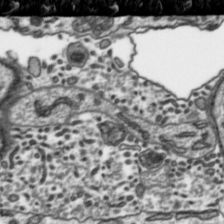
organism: Toxoplasma gondii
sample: Parasites in a vacuole inside a host cell